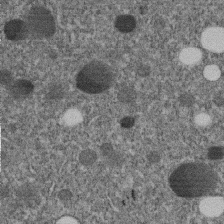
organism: C. elegans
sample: C. elegans embryo early stage